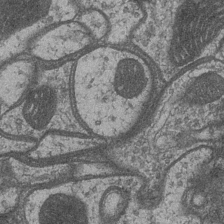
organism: Drosophila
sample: Optic medulla